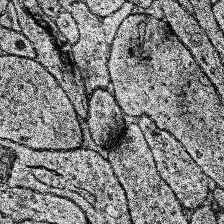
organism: Human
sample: Temporal Lobe